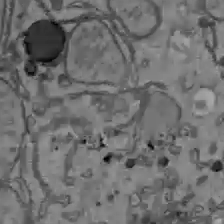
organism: C57BL Mouse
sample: Liver